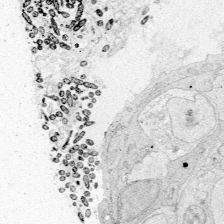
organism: Zebrafish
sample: Whole-Brain